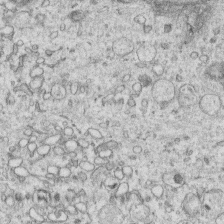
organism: Human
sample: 1205lu cells